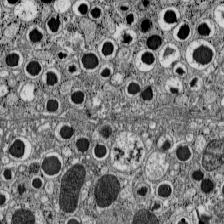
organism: C57BL Mouse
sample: Pancreatic islet